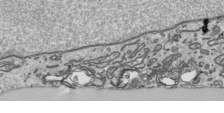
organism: Human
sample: Mitochondria in HCT116 cells